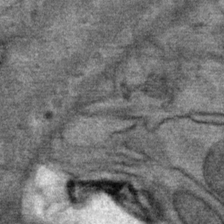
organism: Mouse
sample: Mouse Salivary gland